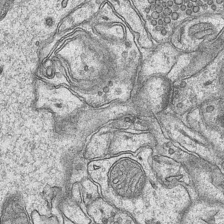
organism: Mouse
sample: CA1 Hippocampus